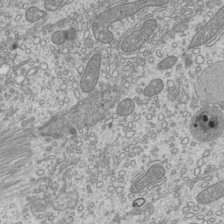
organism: Mouse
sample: Cilia; mouse epididymis